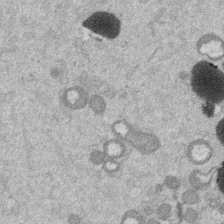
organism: Mouse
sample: Dividing mouse embryo 1 cell stage